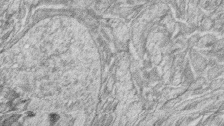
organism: Zebrafish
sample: synaptic ribbons in rod cells and cone cells